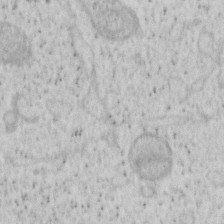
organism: Human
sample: HeLa cells